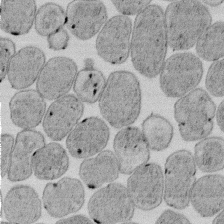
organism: E. coli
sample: Bacterial nucleoid